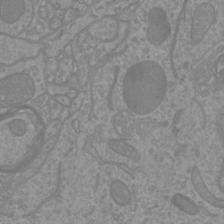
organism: Mouse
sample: Cortical neurons